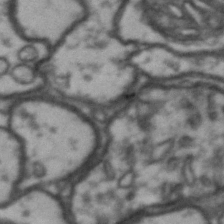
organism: Drosophila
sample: Brain